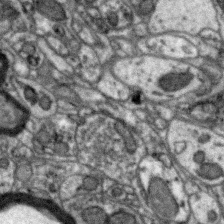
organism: Zebra finch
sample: Brain